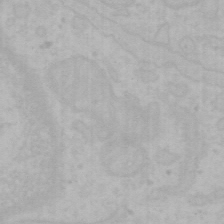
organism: Mouse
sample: Choroid plexus